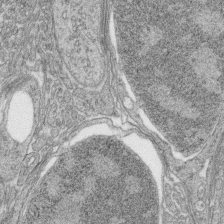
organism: Zebrafish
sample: synaptic ribbons in rod cells and cone cells